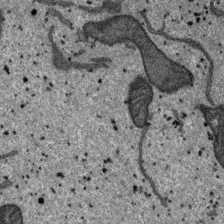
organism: Human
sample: Lung epithelial cells, uninfected (mock) control